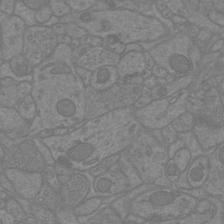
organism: Mouse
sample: Cortical neurons